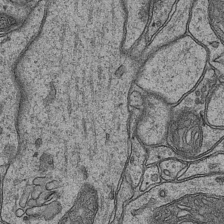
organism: Mouse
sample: CA1 Hippocampus